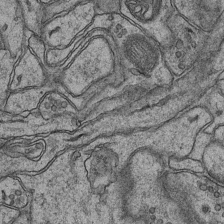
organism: Mouse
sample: CA1 Hippocampus